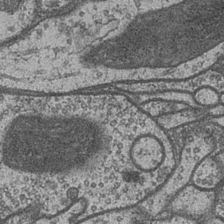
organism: Drosophila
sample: Optic medulla